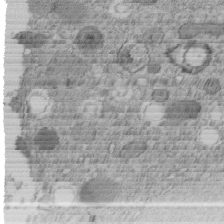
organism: C. elegans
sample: C. elegans embryo early stage